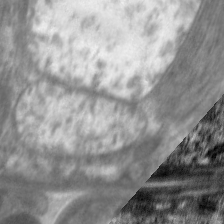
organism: C. elegans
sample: Pharynx